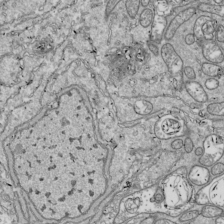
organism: Drosophila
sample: Cell division; meiosis; drosophila spermatocytes